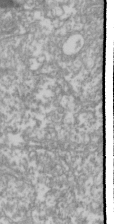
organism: Drosophila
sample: Cell division; meiosis; drosophila spermatocytes